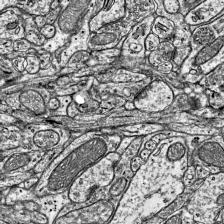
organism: Mouse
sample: Visual Cortex